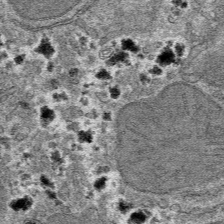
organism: Mouse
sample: Mouse hepatocytes